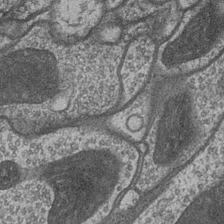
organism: Drosophila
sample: Optic medulla